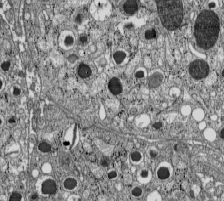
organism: C57BL Mouse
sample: Pancreatic islet